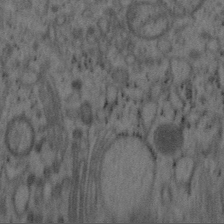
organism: Human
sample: HeLa cells